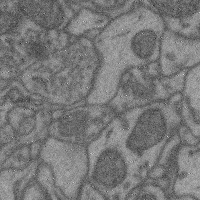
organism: Mouse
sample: Cerebral cortex